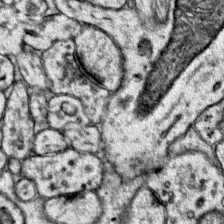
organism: Mouse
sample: Primary visual cortex